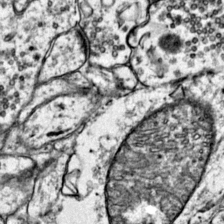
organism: Mouse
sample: Primary visual cortex